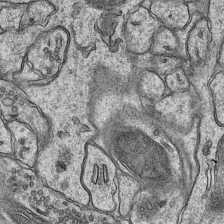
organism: Mouse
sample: CA1 Hippocampus